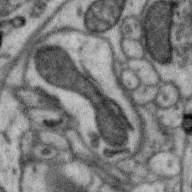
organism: Zebra finch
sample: Brain